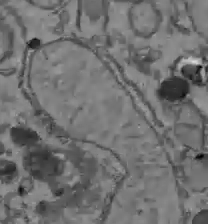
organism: C57BL Mouse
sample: Liver